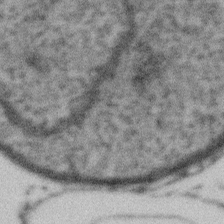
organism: Gemmata obscuriglobus